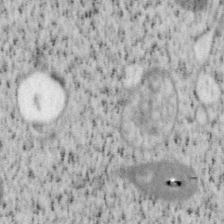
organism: Mouse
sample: OT-I killer T cells with ID8 ovarian cancer cells